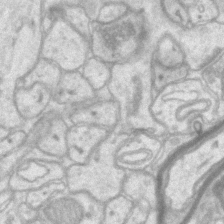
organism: Mouse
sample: CA1 Hippocampus